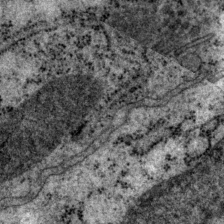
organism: P. pacificus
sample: Pharynx